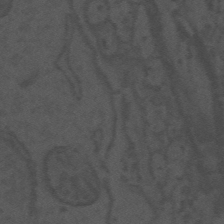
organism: Mouse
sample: Suprachiasmatic nucleus